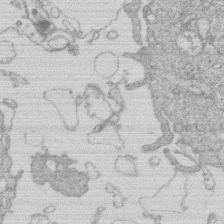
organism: Human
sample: Macrophage cells